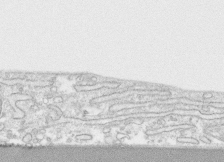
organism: Human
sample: CRL-1474